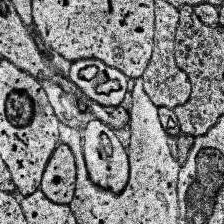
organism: Human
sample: Temporal Lobe